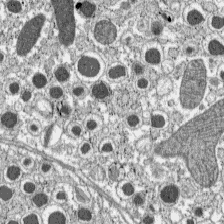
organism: C57BL Mouse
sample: Pancreatic islet